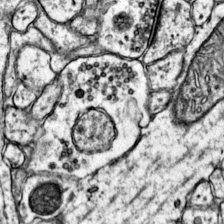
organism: Mouse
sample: Primary visual cortex